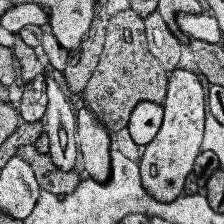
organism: Human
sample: Temporal Lobe